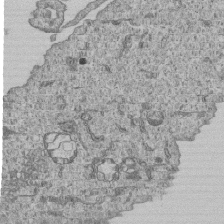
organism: Human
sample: MDA-MB-231 cells